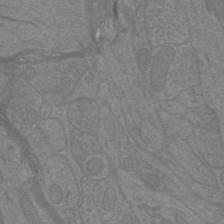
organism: Mouse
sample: Cortical neurons